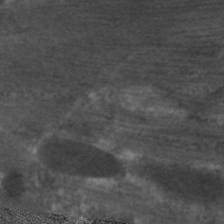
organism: C. elegans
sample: Pharynx